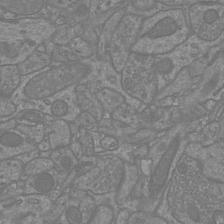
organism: Mouse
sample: Cortical neurons